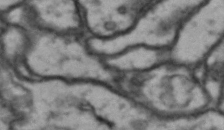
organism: Drosophila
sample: Brain